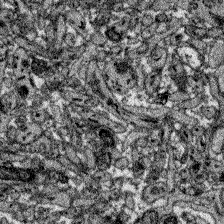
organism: Zebrafish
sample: Larval olfactory bulb